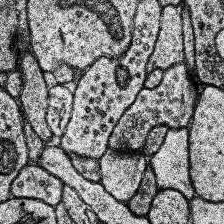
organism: Human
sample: Temporal Lobe